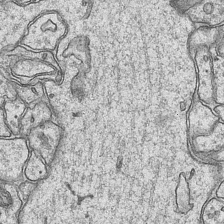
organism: Mouse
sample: CA1 Hippocampus